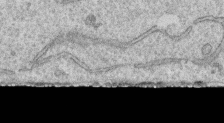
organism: Human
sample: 1205lu cells